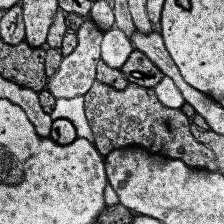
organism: Human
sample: Temporal Lobe